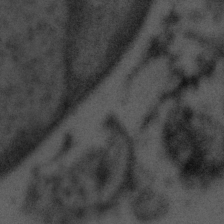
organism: Tuwongella immobilis